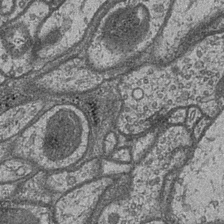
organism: Drosophila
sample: Optic medulla